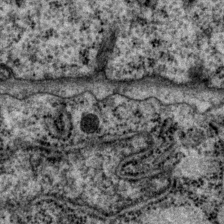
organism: P. pacificus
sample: Pharynx